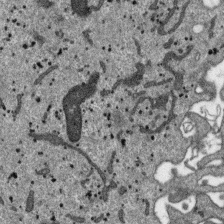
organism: Human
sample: Lung epithelial cells, uninfected (mock) control